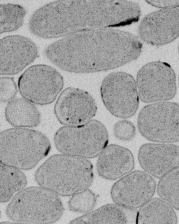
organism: E. coli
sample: Bacterial nucleoid